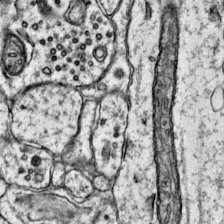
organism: Mouse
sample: Primary visual cortex